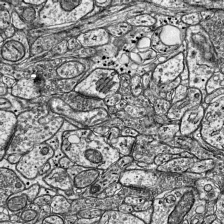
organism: Mouse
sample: Visual Cortex